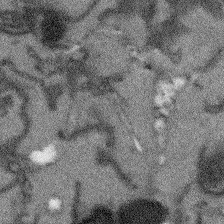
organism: Arabidopsis thaliana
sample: Root tip